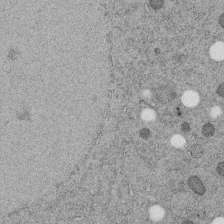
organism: C. elegans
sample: C. elegans embryo early stage